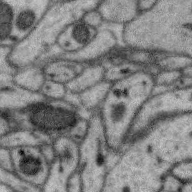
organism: Zebra finch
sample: Brain